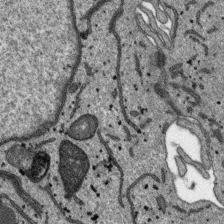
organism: Human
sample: Lung epithelial cells, uninfected (mock) control